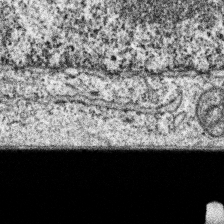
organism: Human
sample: HeLa cells